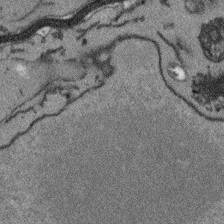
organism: Arabidopsis thaliana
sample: Root tip